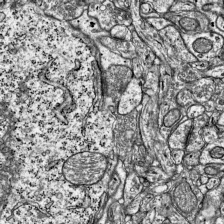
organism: Mouse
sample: Visual Cortex